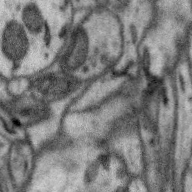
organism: Zebra finch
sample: Brain